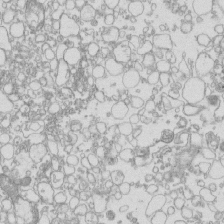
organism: Mouse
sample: Macrophages